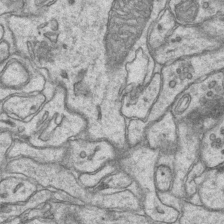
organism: Mouse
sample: CA1 Hippocampus